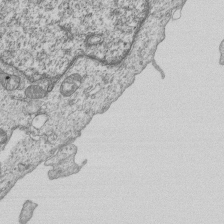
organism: Human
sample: MDA-MB-231 cells